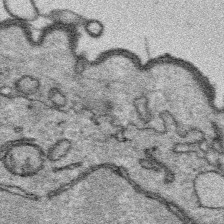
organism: Platynereis dumerilii